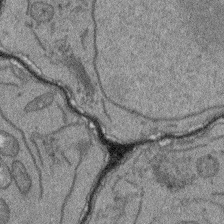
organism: Arabidopsis thaliana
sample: Root tip